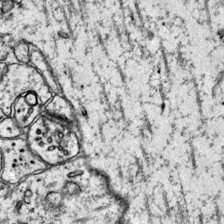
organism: Mouse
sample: Primary visual cortex